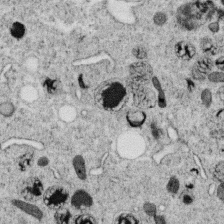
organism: C. elegans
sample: C. elegans oocyte; sperm cells